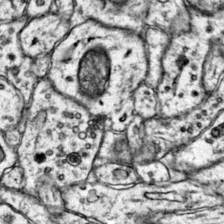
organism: Mouse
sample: Primary visual cortex